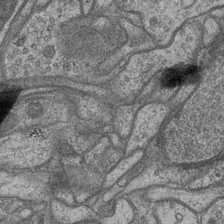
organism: Drosophila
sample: Optic medulla